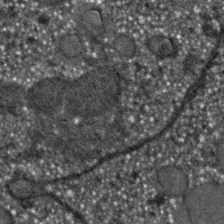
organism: C. elegans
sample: C. elegans embryo